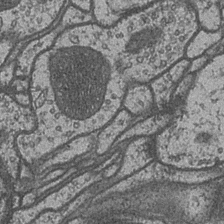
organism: Drosophila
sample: Optic medulla